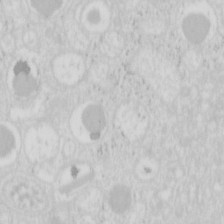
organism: Mouse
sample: Pancreas